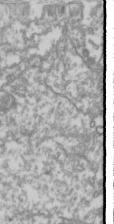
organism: Drosophila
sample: Cell division; meiosis; drosophila spermatocytes